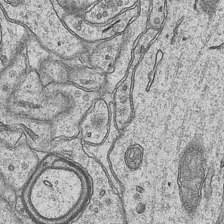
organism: Mouse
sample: CA1 Hippocampus